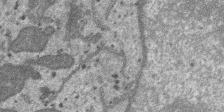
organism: Human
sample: Lung epithelial cells infected with SARS-CoV-2